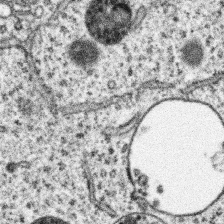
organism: Human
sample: HeLa cells